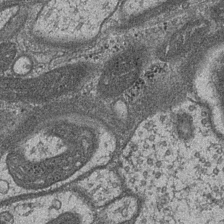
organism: Drosophila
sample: Optic medulla